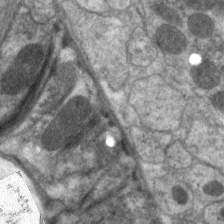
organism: C. elegans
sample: Pharynx